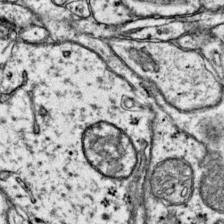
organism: Mouse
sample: Primary visual cortex